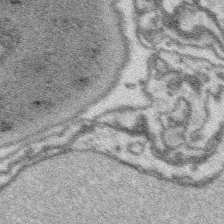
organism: Platynereis dumerilii